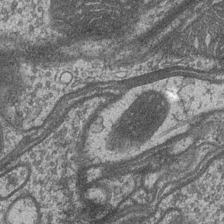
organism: Drosophila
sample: Optic medulla